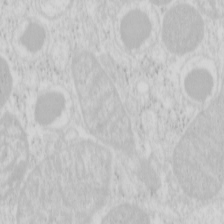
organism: Mouse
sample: Pancreas